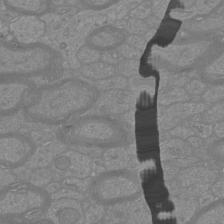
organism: Mouse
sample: Cortical neurons